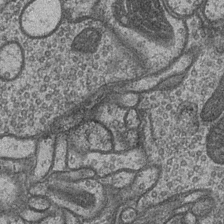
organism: Drosophila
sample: Optic medulla